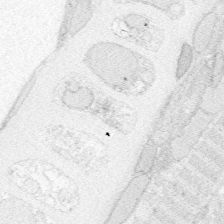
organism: Zebrafish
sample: Whole-Brain